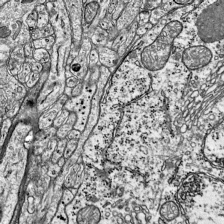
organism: Mouse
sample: Visual Cortex